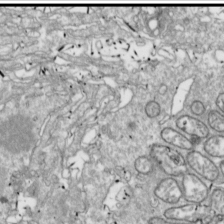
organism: Drosophila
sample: Cell division; meiosis; drosophila spermatocytes